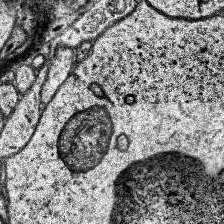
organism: Human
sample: Temporal Lobe